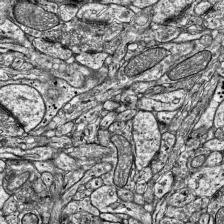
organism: Mouse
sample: Visual Cortex